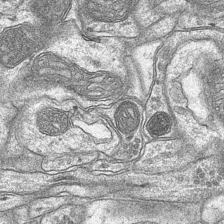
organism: Mouse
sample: CA1 Hippocampus